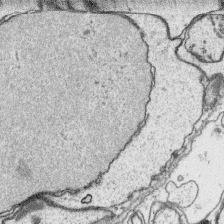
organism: Platynereis dumerilii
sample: Parapodia